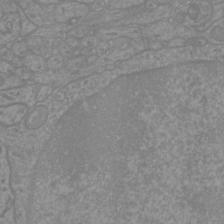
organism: Mouse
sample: Cortical neurons